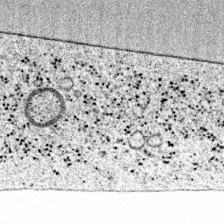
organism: Human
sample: HeLa cells